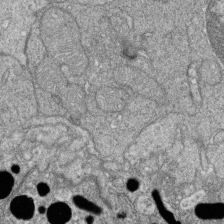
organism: Zebrafish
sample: Cilia; retinal pigment epithelium